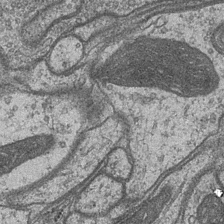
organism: Drosophila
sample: Optic medulla